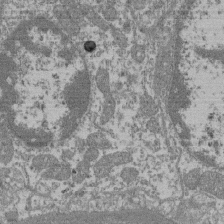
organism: Mouse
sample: Glomerulus